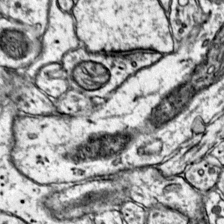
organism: Mouse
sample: Primary visual cortex